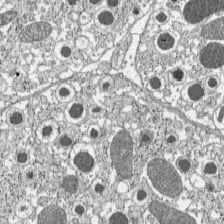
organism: C57BL Mouse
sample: Pancreatic islet